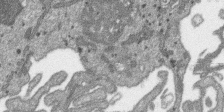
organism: Human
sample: Lung epithelial cells infected with SARS-CoV-2